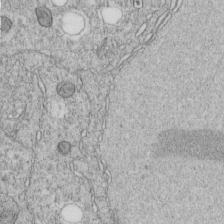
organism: C. elegans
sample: C. elegans embryo early stage